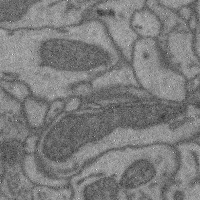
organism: Mouse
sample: Cerebral cortex